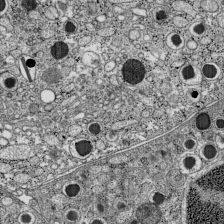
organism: C57BL Mouse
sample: Pancreatic islet